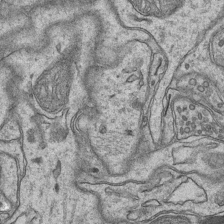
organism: Mouse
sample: CA1 Hippocampus